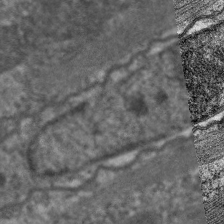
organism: C. elegans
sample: Pharynx